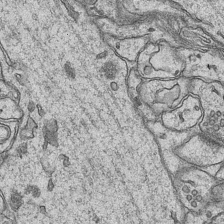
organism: Mouse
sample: CA1 Hippocampus